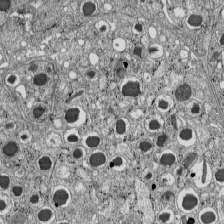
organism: C57BL Mouse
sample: Pancreatic islet